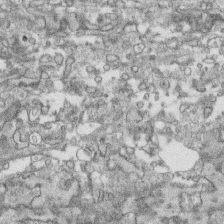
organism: Human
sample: CRL-1474